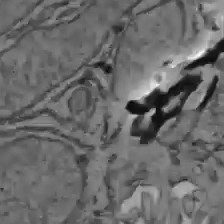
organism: C57BL Mouse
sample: Liver